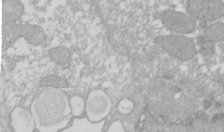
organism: Xenopus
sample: Cilia; centrioles in frog embryo cells